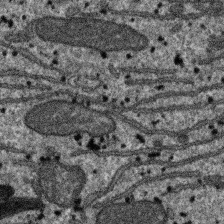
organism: Human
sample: Lung epithelial cells infected with SARS-CoV-2